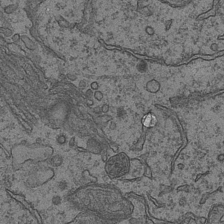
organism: Mouse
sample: CA1 Hippocampus